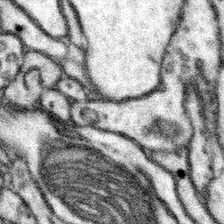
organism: Mouse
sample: Somatosensory cortex neuropil